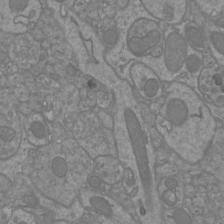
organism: Mouse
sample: Cortical neurons